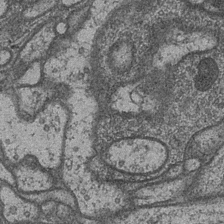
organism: Drosophila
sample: Optic medulla